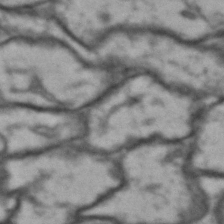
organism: Drosophila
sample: Brain